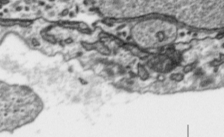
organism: Toxoplasma gondii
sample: Parasites in a vacuole inside a host cell